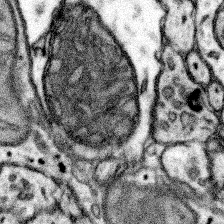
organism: Mouse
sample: Somatosensory cortex neuropil